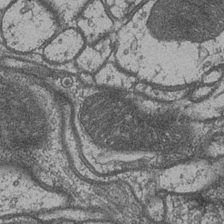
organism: Drosophila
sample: Optic medulla